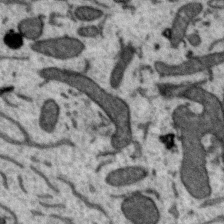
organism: Zebra finch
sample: Brain